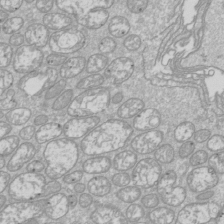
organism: Drosophila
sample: Cell division; meiosis; drosophila spermatocytes